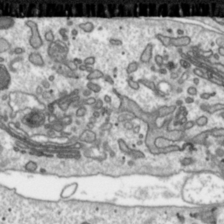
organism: Toxoplasma gondii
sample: Parasites in a vacuole inside a host cell